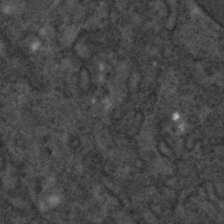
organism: C. elegans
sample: C. elegans embryo